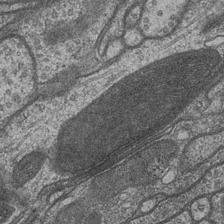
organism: Drosophila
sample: Optic medulla